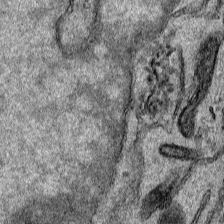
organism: Human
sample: Mitochondria in HCT116 cells